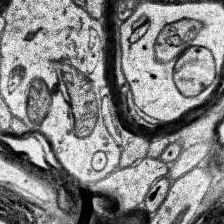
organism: Human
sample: Temporal Lobe